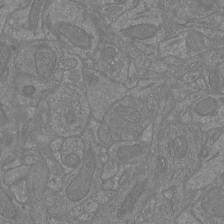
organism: Mouse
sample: Cortical neurons